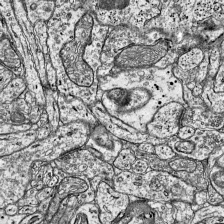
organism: Mouse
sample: Visual Cortex